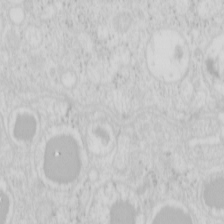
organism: Mouse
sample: Pancreas